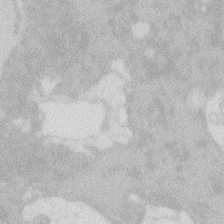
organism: Zebrafish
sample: Macrophage